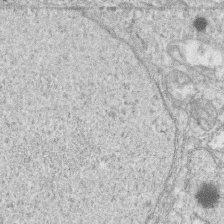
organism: Human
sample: HeLa cell HIV synapse